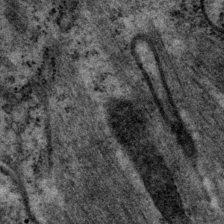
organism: P. pacificus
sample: Pharynx